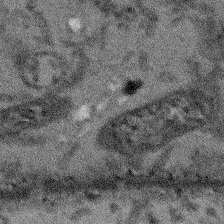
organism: Arabidopsis thaliana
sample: Root tip